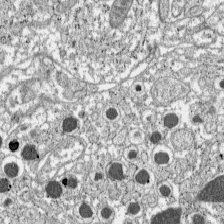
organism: C57BL Mouse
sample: Pancreatic islet